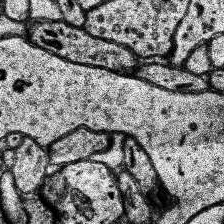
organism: Human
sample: Temporal Lobe